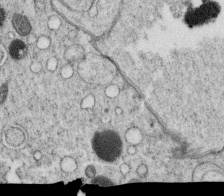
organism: C. elegans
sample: C. elegans oocyte; sperm cells